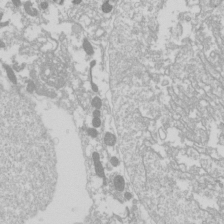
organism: Drosophila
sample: Cell division; meiosis; drosophila spermatocytes